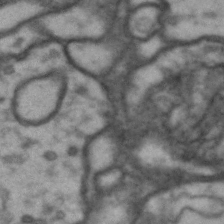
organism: Drosophila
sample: Brain